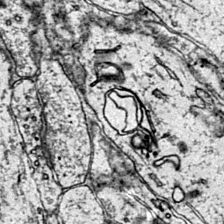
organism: Mouse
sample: Primary visual cortex